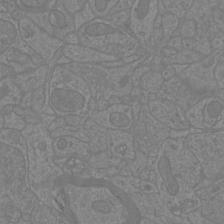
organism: Mouse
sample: Cortical neurons